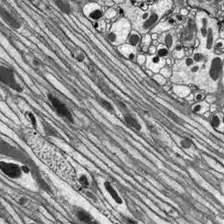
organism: Drosophila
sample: Optic lobe